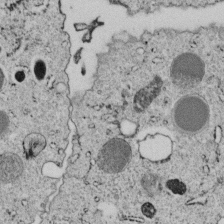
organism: C. elegans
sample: C. elegans embryo early stage